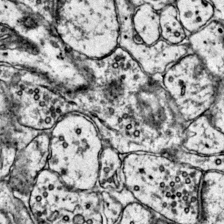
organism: Mouse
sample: Primary visual cortex